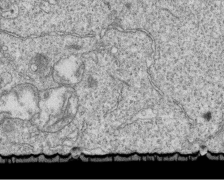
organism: Human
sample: HeLa cell HIV synapse